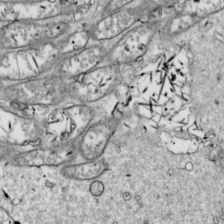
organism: Drosophila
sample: Cell division; meiosis; drosophila spermatocytes